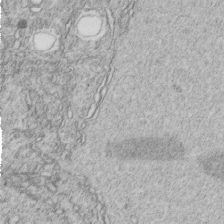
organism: C. elegans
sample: C. elegans embryo early stage